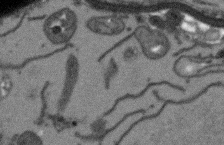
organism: Arabidopsis thaliana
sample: Root tip